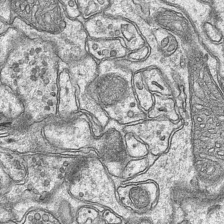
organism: Mouse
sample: CA1 Hippocampus